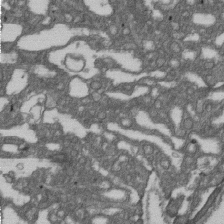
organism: Drosophila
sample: Nephrocyte